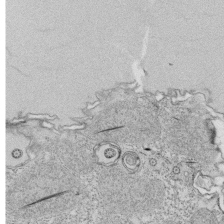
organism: Tetrahymena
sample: Cilia in tetrahymena